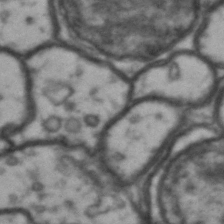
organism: Drosophila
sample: Brain